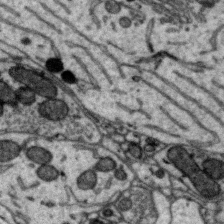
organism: Zebra finch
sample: Brain